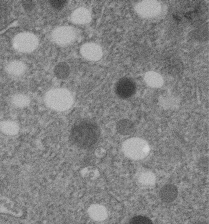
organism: C. elegans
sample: C. elegans embryo early stage